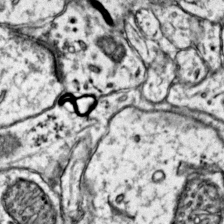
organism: Mouse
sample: Primary visual cortex